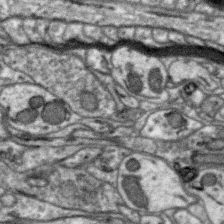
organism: Zebra finch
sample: Brain